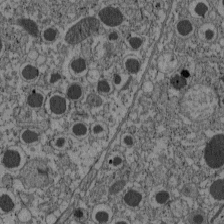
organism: C57BL Mouse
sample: Pancreatic islet